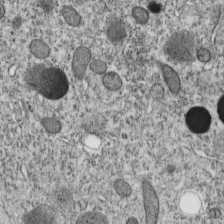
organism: C. elegans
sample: C. elegans embryo early stage